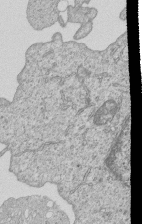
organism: Human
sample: MDA-MB-231 cells